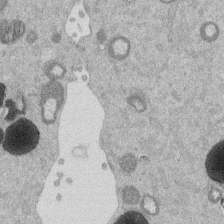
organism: Mouse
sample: Dividing mouse embryo 1 cell stage